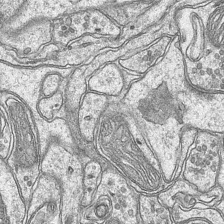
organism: Mouse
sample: CA1 Hippocampus